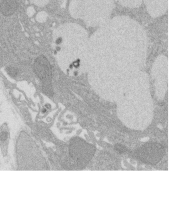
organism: Rat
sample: Salivary granule